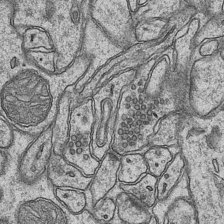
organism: Mouse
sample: CA1 Hippocampus